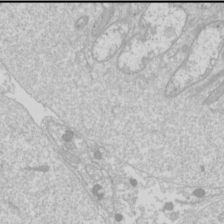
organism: Drosophila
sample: Cell division; meiosis; drosophila spermatocytes